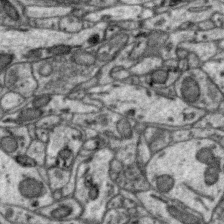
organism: Zebra finch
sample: Brain